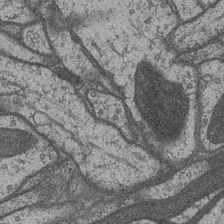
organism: Drosophila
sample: Optic medulla